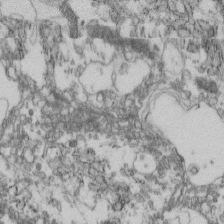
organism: Mouse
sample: Cilia; retinal pigment epithelium